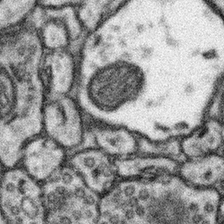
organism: Mouse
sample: Somatosensory cortex neuropil